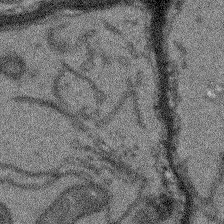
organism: Arabidopsis thaliana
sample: Root tip